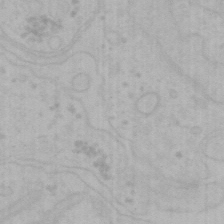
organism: Mouse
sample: Choroid plexus